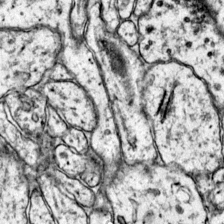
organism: Mouse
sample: Primary visual cortex